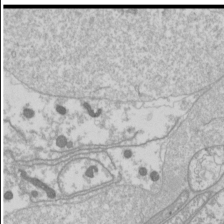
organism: Drosophila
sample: Cell division; meiosis; drosophila spermatocytes